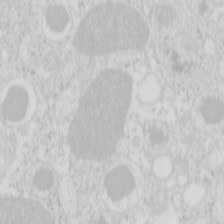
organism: Mouse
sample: Pancreas